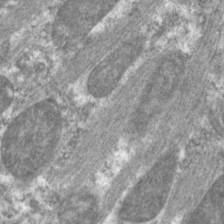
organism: C. elegans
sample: Pharynx